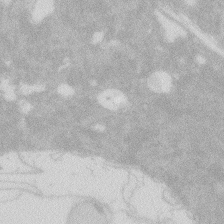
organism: Zebrafish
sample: Macrophage